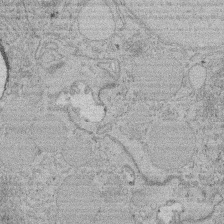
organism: Rat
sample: Salivary granule